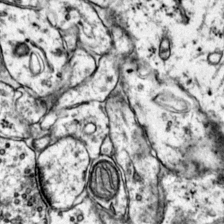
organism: Mouse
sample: Primary visual cortex